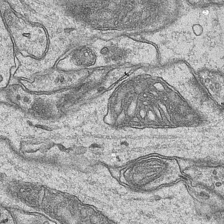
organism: Mouse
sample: CA1 Hippocampus